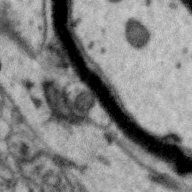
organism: Zebra finch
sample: Brain